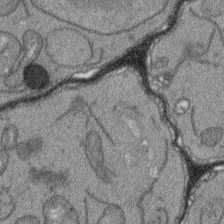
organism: Arabidopsis thaliana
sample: Root tip